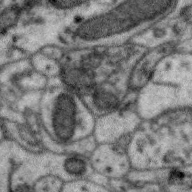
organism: Zebra finch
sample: Brain